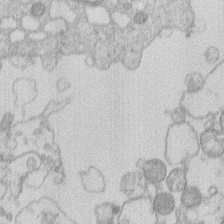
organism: Human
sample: Macrophage cells